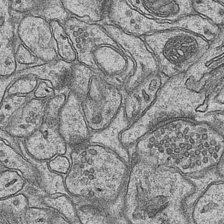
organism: Mouse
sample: CA1 Hippocampus